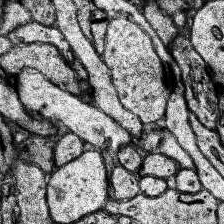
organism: Human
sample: Temporal Lobe